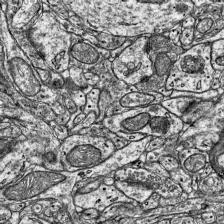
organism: Mouse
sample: Visual Cortex